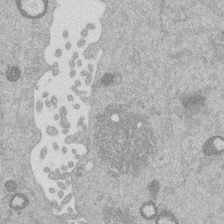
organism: Mouse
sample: Dividing mouse embryo 1 cell stage